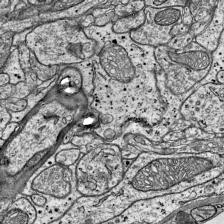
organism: Mouse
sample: Visual Cortex